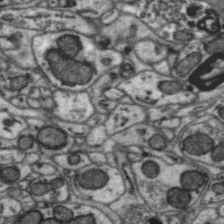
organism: Zebra finch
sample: Brain